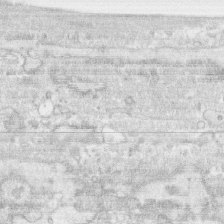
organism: Human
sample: CRL-1474